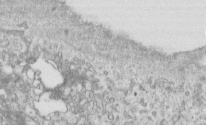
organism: Human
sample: Centriole in RPE cells